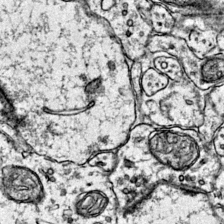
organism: Mouse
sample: Primary visual cortex